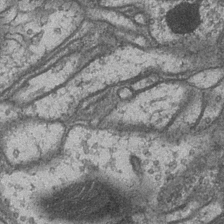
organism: Drosophila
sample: Optic medulla